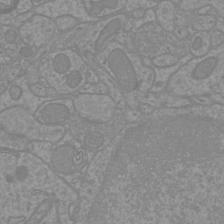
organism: Mouse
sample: Cortical neurons